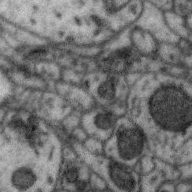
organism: Zebra finch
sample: Brain